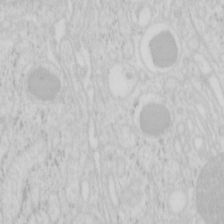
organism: Mouse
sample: Pancreas